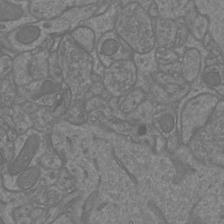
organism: Mouse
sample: Cortical neurons